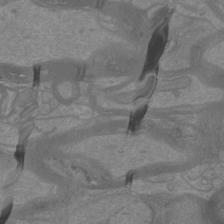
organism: Mouse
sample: Cortical neurons